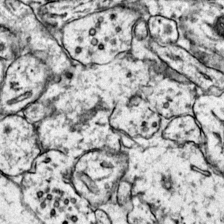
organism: Mouse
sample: Primary visual cortex